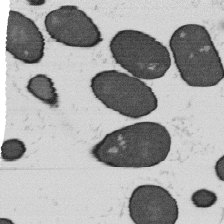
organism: B. subtilis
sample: Bacterial spore